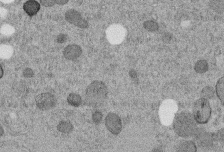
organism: C. elegans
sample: C. elegans embryo early stage